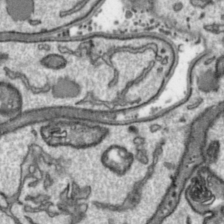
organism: Toxoplasma gondii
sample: Parasites in a vacuole inside a host cell